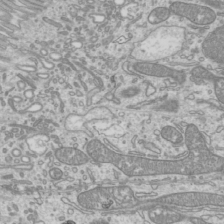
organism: Mouse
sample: Cilia; mouse epididymis